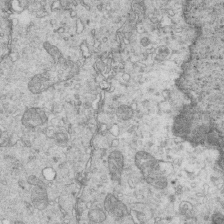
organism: Mouse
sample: Multiciliated cells